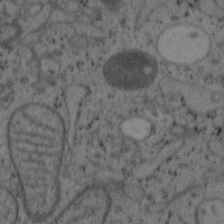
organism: Human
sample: HeLa cells